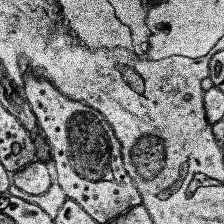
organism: Human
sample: Temporal Lobe